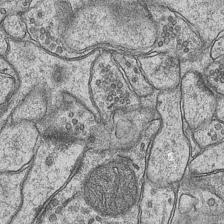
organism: Mouse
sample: CA1 Hippocampus